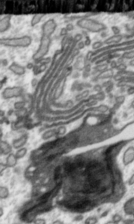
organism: Toxoplasma gondii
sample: Parasites in a vacuole inside a host cell